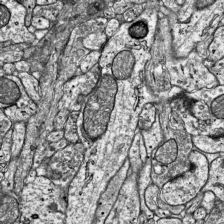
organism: Mouse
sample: Visual Cortex